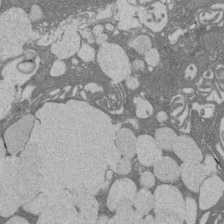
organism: Rat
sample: Salivary granule